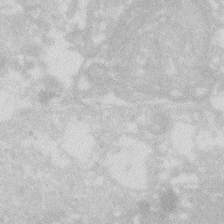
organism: Zebrafish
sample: Macrophage